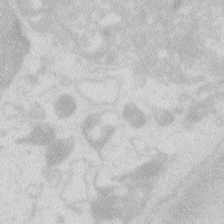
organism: Zebrafish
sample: Macrophage